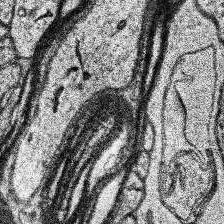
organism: Human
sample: Temporal Lobe